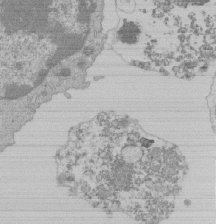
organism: Mouse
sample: Activated Pmel transgenic CD8+ T Cells